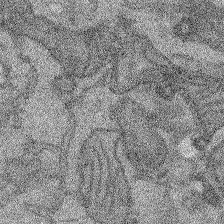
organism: Human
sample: HeLa cells